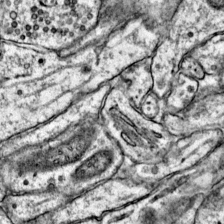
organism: Mouse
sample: Primary visual cortex